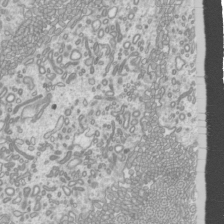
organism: Mouse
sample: Cilia; mouse epididymis